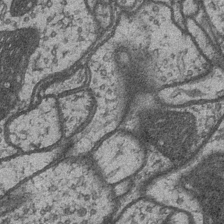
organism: Drosophila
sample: Optic medulla